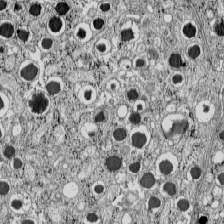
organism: C57BL Mouse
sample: Pancreatic islet